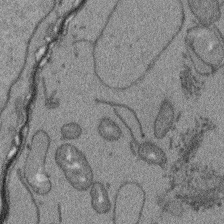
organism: Arabidopsis thaliana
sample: Root tip